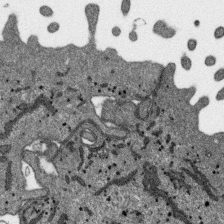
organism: Human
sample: Lung epithelial cells, uninfected (mock) control